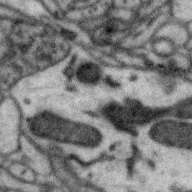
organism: Zebra finch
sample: Brain